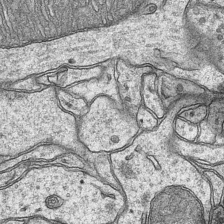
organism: Mouse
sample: CA1 Hippocampus